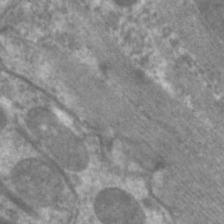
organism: C. elegans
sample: Pharynx